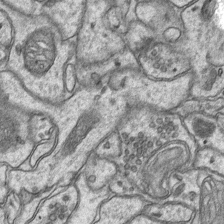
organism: Mouse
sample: CA1 Hippocampus